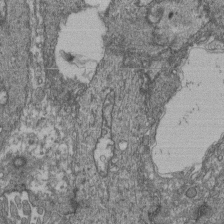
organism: Human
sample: Retinal organoid Rod and Cone cells